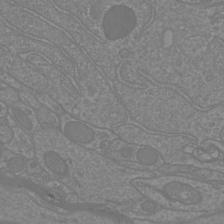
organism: Mouse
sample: Cortical neurons